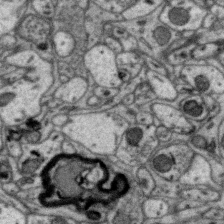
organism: Zebra finch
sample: Brain